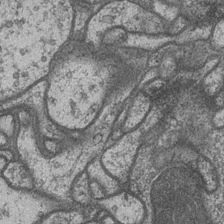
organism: Drosophila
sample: Optic medulla